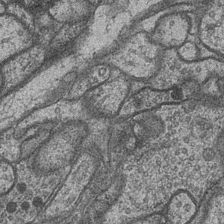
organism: Drosophila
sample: Optic medulla